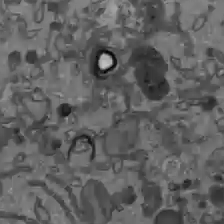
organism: C57BL Mouse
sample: Liver